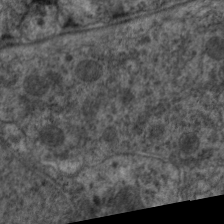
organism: C. elegans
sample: Pharynx